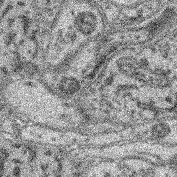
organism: Mouse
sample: Retina